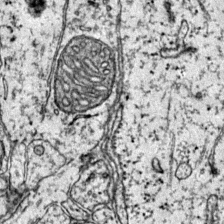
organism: Mouse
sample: Primary visual cortex